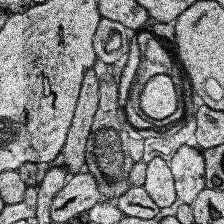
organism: Human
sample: Temporal Lobe